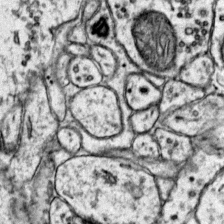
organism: Mouse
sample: Primary visual cortex